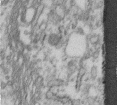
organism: Human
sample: Centriole in fibroblast cells